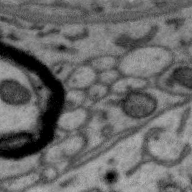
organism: Zebra finch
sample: Brain